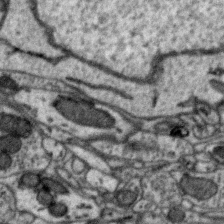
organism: Zebra finch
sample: Brain